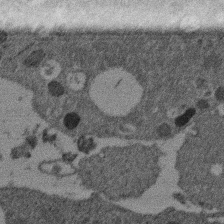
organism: Mouse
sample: Dividing mouse embryo 1 cell stage